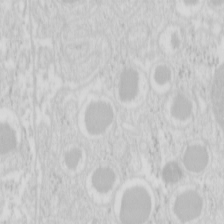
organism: Mouse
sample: Pancreas